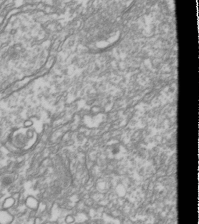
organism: Drosophila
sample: Cell division; meiosis; drosophila spermatocytes